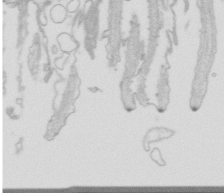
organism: Mouse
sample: Multiciliated cells